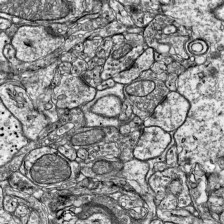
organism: Mouse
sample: Visual Cortex